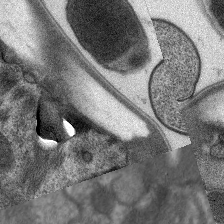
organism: C. elegans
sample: Pharynx